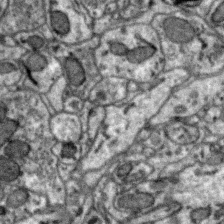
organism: Zebra finch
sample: Brain